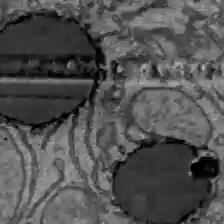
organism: C57BL Mouse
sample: Liver